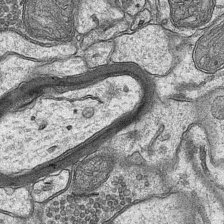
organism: Mouse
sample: CA1 Hippocampus